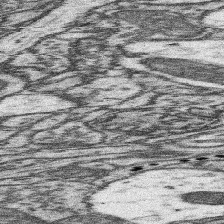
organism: Mouse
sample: Somatosensory cortex neuropil